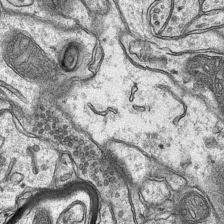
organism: Mouse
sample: CA1 Hippocampus